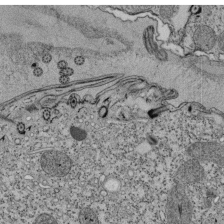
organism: Tetrahymena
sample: Cilia in tetrahymena